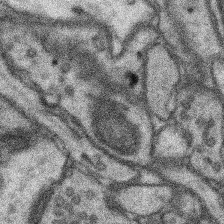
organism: Mouse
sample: Somatosensory cortex neuropil